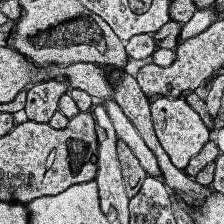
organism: Human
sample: Temporal Lobe